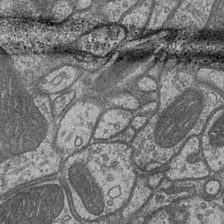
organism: Drosophila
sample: Optic medulla